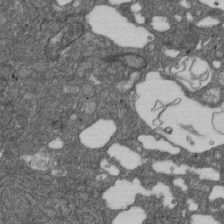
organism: Drosophila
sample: Nephrocyte